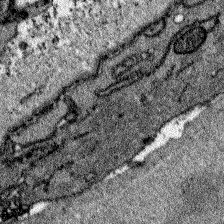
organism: Zebrafish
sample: Larval olfactory bulb